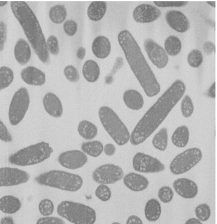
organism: E. coli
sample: Bacterial nucleoid